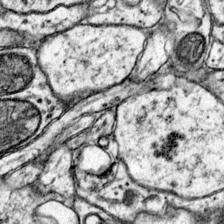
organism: Mouse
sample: Primary visual cortex